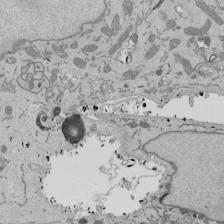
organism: Mouse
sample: ED-1 cell nuclei; centrioles